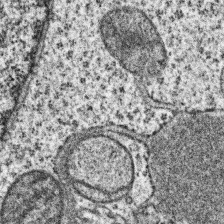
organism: Human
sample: HeLa cells